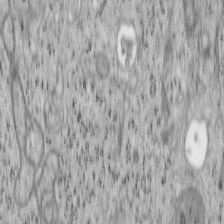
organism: Human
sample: HeLa cells